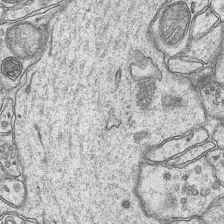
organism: Mouse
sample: CA1 Hippocampus